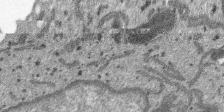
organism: Human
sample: Lung epithelial cells infected with SARS-CoV-2